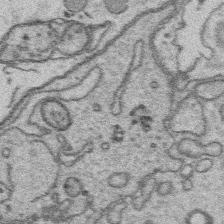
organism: Platynereis dumerilii